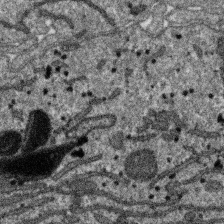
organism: Human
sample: Lung epithelial cells infected with SARS-CoV-2